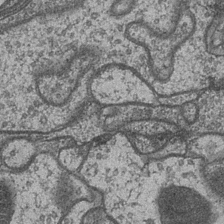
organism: Drosophila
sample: Optic medulla